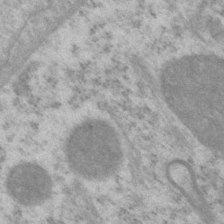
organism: P. pacificus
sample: Pharynx